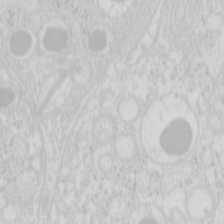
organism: Mouse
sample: Pancreas